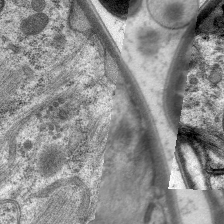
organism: C. elegans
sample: Pharynx